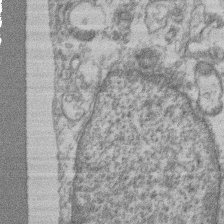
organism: Mouse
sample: T cell stromal cell synapse